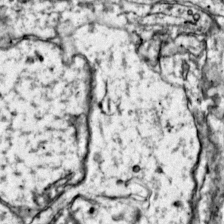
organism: Mouse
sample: Primary visual cortex